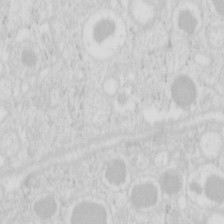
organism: Mouse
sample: Pancreas